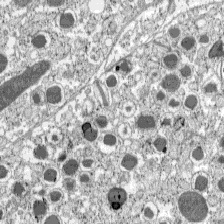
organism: C57BL Mouse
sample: Pancreatic islet